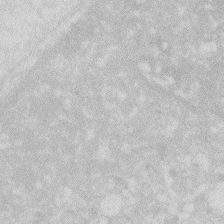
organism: Zebrafish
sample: Macrophage